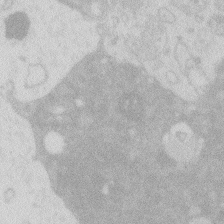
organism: Zebrafish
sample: Macrophage